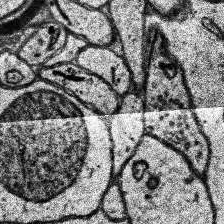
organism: Human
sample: Temporal Lobe